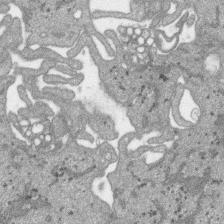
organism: Human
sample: Lung epithelial cells infected with SARS-CoV-2